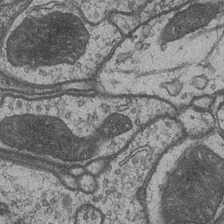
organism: Drosophila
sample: Optic medulla